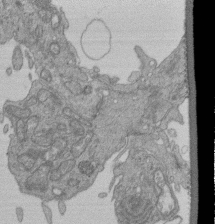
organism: Human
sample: Retinal organoid Rod and Cone cells